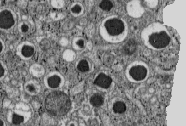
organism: C57BL Mouse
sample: Pancreatic islet